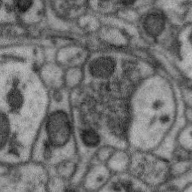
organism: Zebra finch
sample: Brain